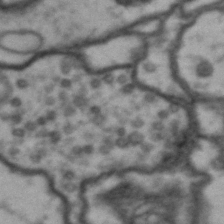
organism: Drosophila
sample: Brain